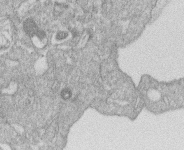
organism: Human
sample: Macrophage cells